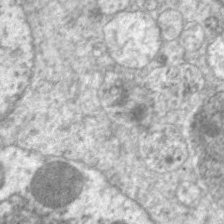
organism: C. elegans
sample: Pharynx